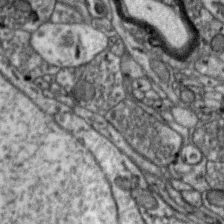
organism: Zebra finch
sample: Brain